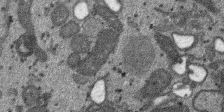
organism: Human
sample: Lung epithelial cells infected with SARS-CoV-2